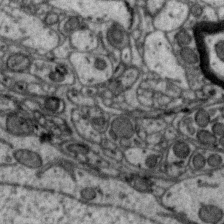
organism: Zebra finch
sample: Brain